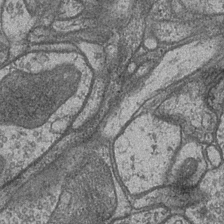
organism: Drosophila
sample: Optic medulla